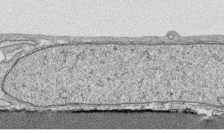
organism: Human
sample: CRL-1474